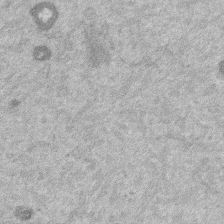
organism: Mouse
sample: Dividing mouse embryo 1 cell stage